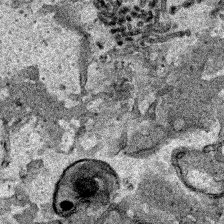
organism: Human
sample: Mitochondria in HCT116 cells